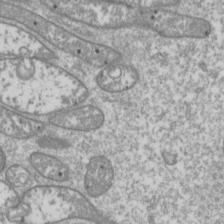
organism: Drosophila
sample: Cell division; meiosis; drosophila spermatocytes